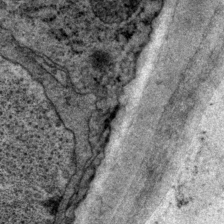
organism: P. pacificus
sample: Pharynx